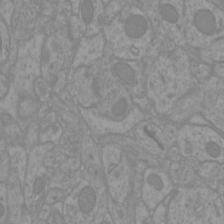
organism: Mouse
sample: Cortical neurons